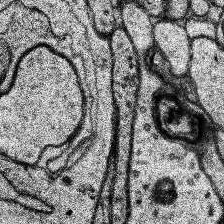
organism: Human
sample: Temporal Lobe